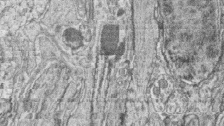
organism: Zebrafish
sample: synaptic ribbons in rod cells and cone cells